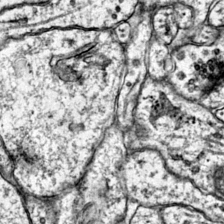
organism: Mouse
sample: Primary visual cortex